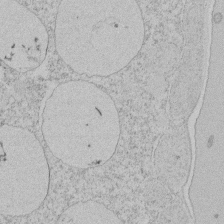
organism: Tetrahymena